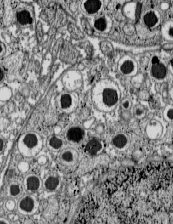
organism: C57BL Mouse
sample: Pancreatic islet